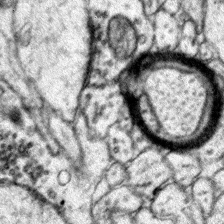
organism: Mouse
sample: Primary visual cortex